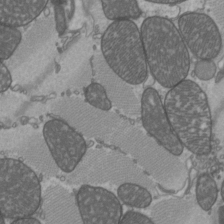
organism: C57BL Mouse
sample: Heart